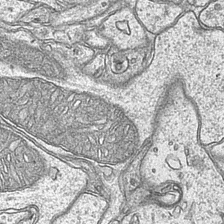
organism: Mouse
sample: CA1 Hippocampus